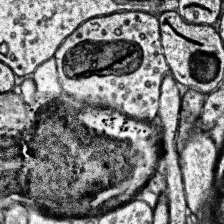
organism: Human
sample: Temporal Lobe